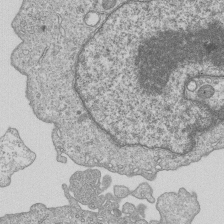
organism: Human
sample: MDA-MB-231 cells